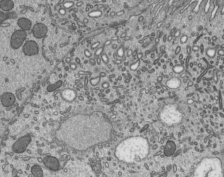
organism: Mouse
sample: Mouse epididymis efferent ductule cilia